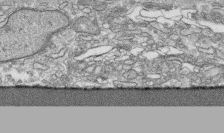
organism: Human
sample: CRL-1474